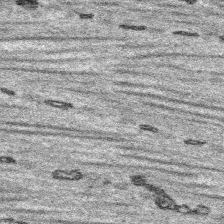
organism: Platynereis dumerilii